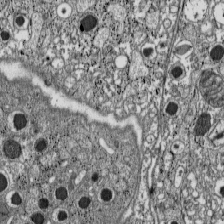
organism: C57BL Mouse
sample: Pancreatic islet